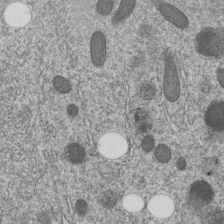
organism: C. elegans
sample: C. elegans embryo early stage